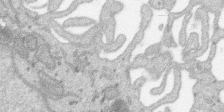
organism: Human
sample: Lung epithelial cells infected with SARS-CoV-2